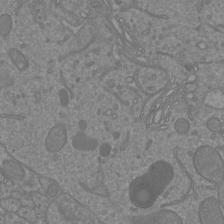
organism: Mouse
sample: Cortical neurons